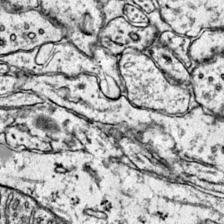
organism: Mouse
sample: Primary visual cortex